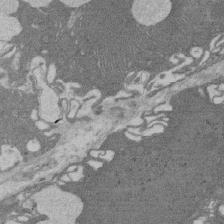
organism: Rat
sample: Salivary granule